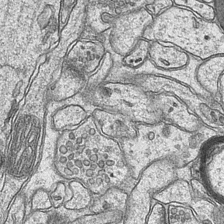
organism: Mouse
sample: CA1 Hippocampus